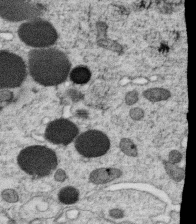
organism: C. elegans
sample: C. elegans oocyte; sperm cells